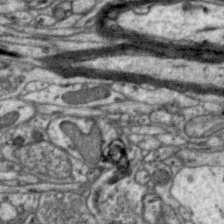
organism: Zebra finch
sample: Brain